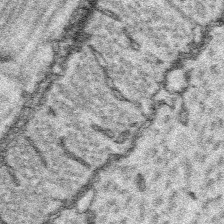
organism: Platynereis dumerilii